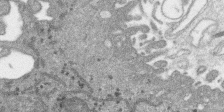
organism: Human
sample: Lung epithelial cells infected with SARS-CoV-2